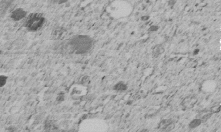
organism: C. elegans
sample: C. elegans embryo early stage